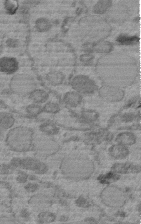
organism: C. elegans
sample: C. elegans embryo early stage